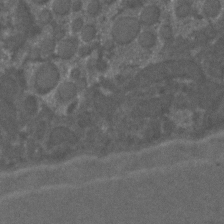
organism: C. elegans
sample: C. elegans embryo